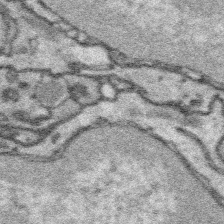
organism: Platynereis dumerilii